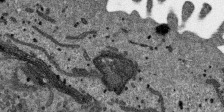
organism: Human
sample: Lung epithelial cells, uninfected (mock) control